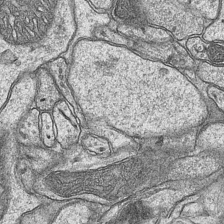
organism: Mouse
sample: CA1 Hippocampus